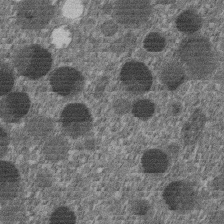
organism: C. elegans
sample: C. elegans embryo early stage